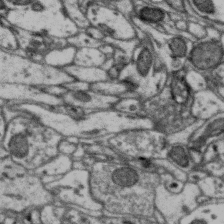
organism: Zebra finch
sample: Brain